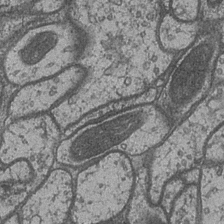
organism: Drosophila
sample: Optic medulla